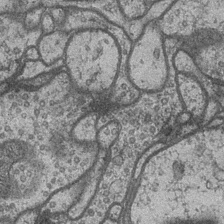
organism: Drosophila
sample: Optic medulla